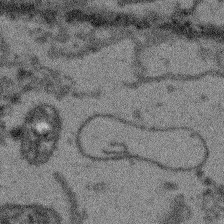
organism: Arabidopsis thaliana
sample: Root tip